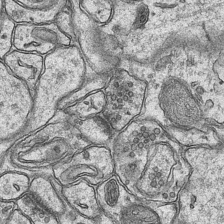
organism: Mouse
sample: CA1 Hippocampus